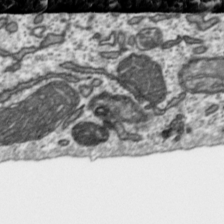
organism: Toxoplasma gondii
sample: Parasites in a vacuole inside a host cell